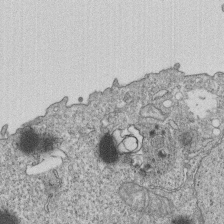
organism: Human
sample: HeLa cell HIV synapse